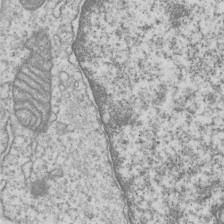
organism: Human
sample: MDA-MB-231 cells